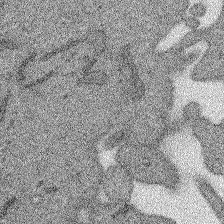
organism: Human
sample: HeLa cells